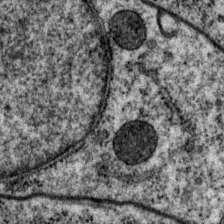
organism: P. pacificus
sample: Pharynx